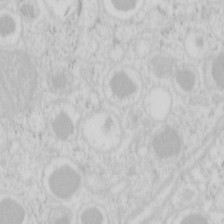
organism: Mouse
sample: Pancreas